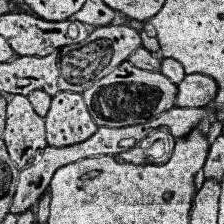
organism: Human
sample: Temporal Lobe